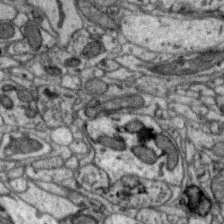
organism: Zebra finch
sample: Brain